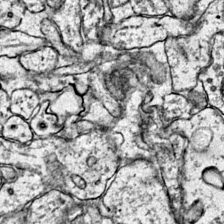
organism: Mouse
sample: Primary visual cortex